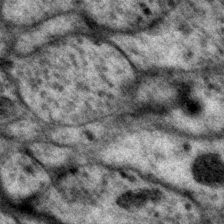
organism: P. pacificus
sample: Pharynx